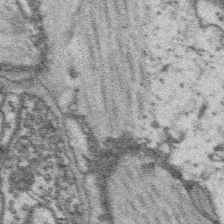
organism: Platynereis dumerilii